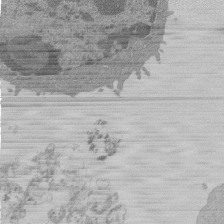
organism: Mouse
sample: Activated Pmel transgenic CD8+ T Cells